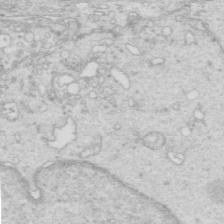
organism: Mouse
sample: Multiciliated cells